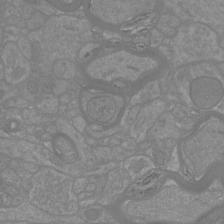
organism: Mouse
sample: Cortical neurons